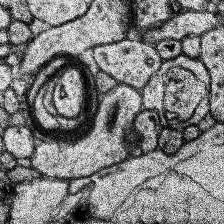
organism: Human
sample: Temporal Lobe